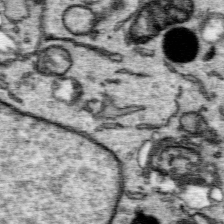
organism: Human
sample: HeLa cells